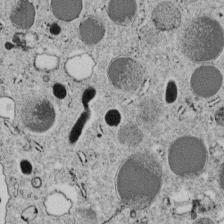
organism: C. elegans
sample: C. elegans embryo early stage